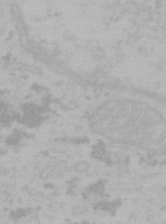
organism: Mouse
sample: Choroid plexus